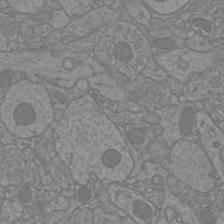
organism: Mouse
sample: Cortical neurons